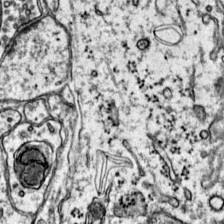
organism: Mouse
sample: Primary visual cortex